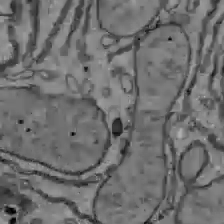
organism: C57BL Mouse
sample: Liver